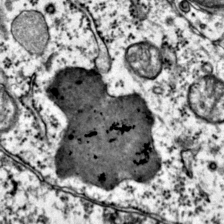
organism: Mouse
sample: Primary visual cortex